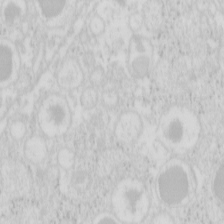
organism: Mouse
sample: Pancreas